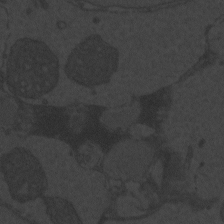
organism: Zebrafish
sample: Macrophage infected with Toxoplasma gondii